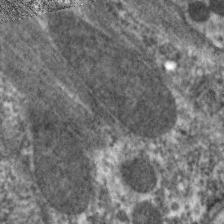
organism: C. elegans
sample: Pharynx